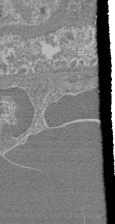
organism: Mouse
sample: Glomerulus